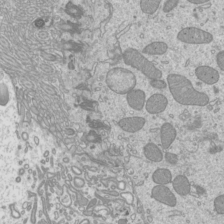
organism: Mouse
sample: Cilia; mouse epididymis